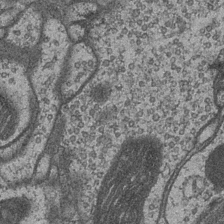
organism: Drosophila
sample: Optic medulla